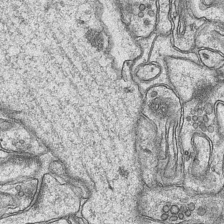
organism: Mouse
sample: CA1 Hippocampus